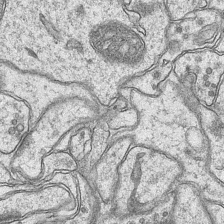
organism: Mouse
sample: CA1 Hippocampus